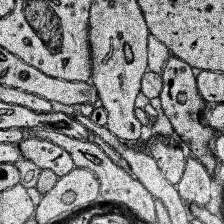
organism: Human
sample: Temporal Lobe